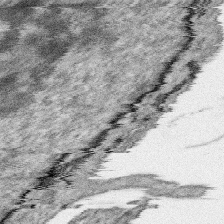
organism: Human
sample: HeLa cells